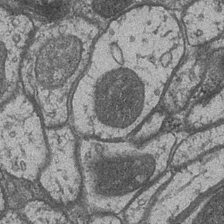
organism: Drosophila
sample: Optic medulla